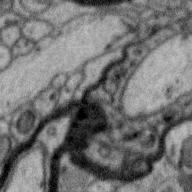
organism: Zebra finch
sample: Brain